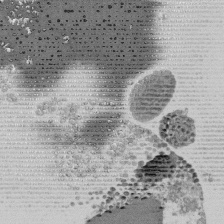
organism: Mouse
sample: Activated Pmel transgenic CD8+ T Cells